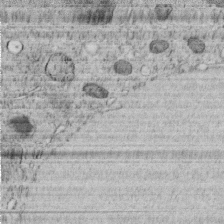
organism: C. elegans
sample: C. elegans embryo early stage